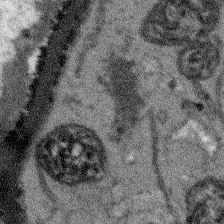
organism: Arabidopsis thaliana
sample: Root tip